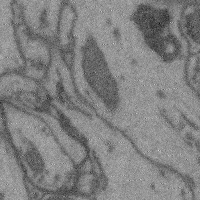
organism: Mouse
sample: Cerebral cortex